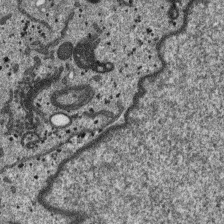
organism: Human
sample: Lung epithelial cells infected with SARS-CoV-2